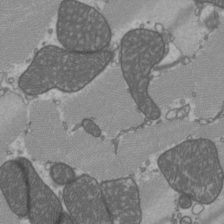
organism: C57BL Mouse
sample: Heart